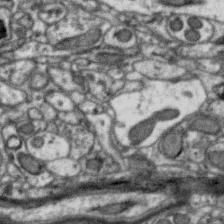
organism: Zebra finch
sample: Brain